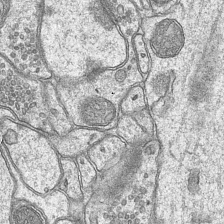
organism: Mouse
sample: CA1 Hippocampus